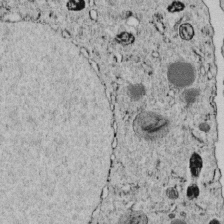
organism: C. elegans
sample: C. elegans embryo early stage